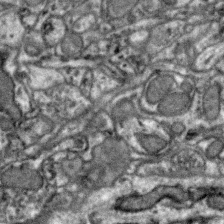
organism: Zebra finch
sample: Brain